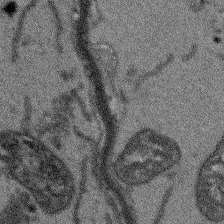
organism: Arabidopsis thaliana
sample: Root tip